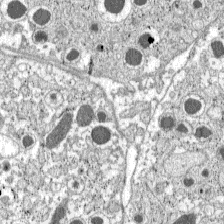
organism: C57BL Mouse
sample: Pancreatic islet